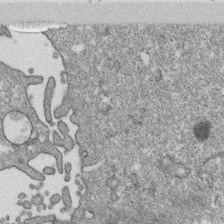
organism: African green monkey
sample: Vero E6 cells infected with SARS-CoV-2